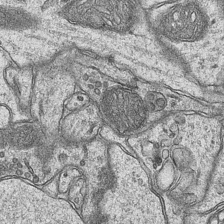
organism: Mouse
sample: CA1 Hippocampus